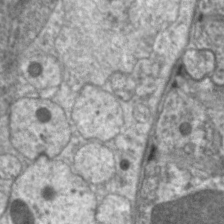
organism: C. elegans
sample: Pharynx